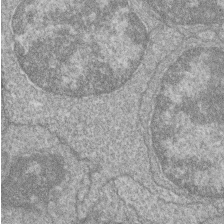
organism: Zebrafish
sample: Cilia; retinal pigment epithelium